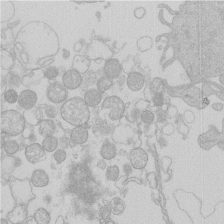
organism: Human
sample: Macrophage cells